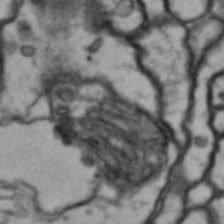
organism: Drosophila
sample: Brain